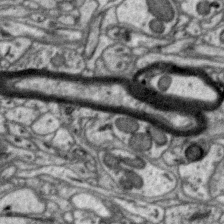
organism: Zebra finch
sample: Brain